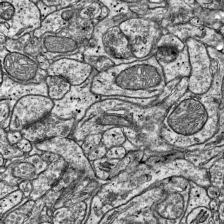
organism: Mouse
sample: Visual Cortex